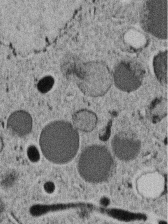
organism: C. elegans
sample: C. elegans embryo early stage